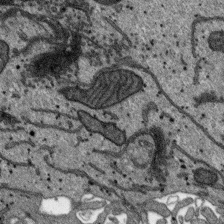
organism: Human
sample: Lung epithelial cells, uninfected (mock) control